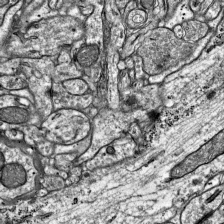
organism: Mouse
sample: Visual Cortex